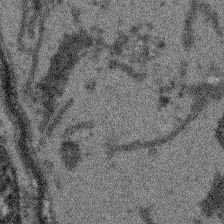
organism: Arabidopsis thaliana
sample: Root tip